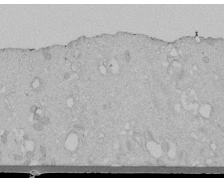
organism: Human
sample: Melanocyte Keratinocyte synapse skin construct